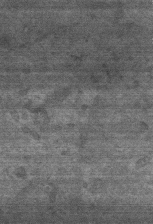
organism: Mouse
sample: Centriole in ependymal cells